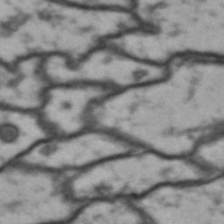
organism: Drosophila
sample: Brain